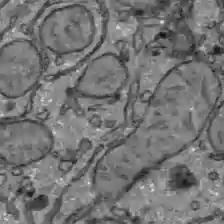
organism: C57BL Mouse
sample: Liver